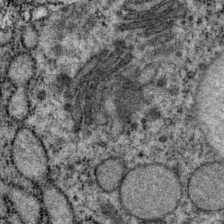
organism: P. pacificus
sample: Pharynx